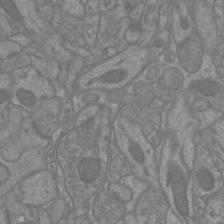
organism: Mouse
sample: Cortical neurons